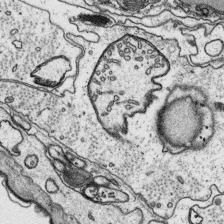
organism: Platynereis dumerilii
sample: Parapodia